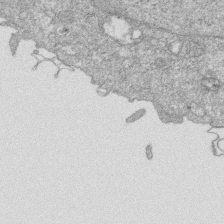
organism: Human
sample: HeLa cell HIV synapse